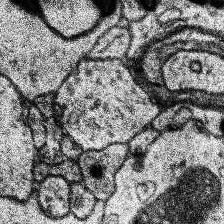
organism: Human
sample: Temporal Lobe